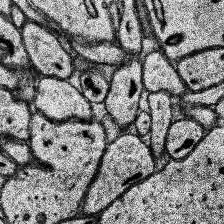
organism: Human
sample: Temporal Lobe